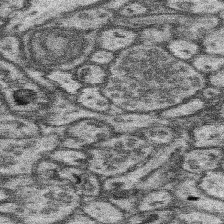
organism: Mouse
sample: Somatosensory cortex neuropil